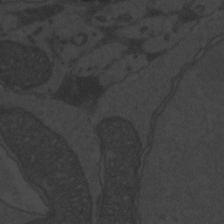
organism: Zebrafish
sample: Macrophage infected with Toxoplasma gondii